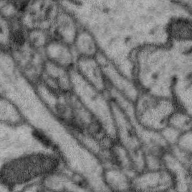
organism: Zebra finch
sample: Brain